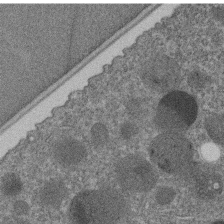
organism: C. elegans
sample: C. elegans embryo early stage